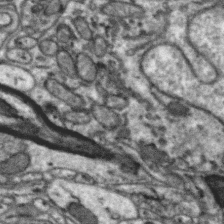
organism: Zebra finch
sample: Brain